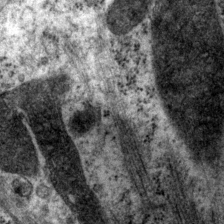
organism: P. pacificus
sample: Pharynx